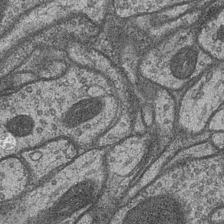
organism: Drosophila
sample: Optic medulla